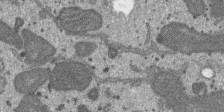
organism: Human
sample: Lung epithelial cells infected with SARS-CoV-2